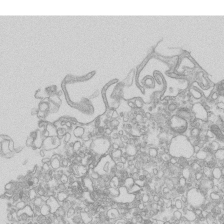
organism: Mouse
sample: Macrophages